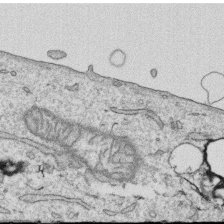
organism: Human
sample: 1205lu cells